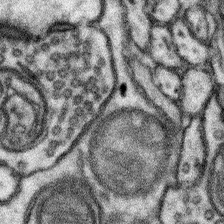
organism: Mouse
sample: Somatosensory cortex neuropil